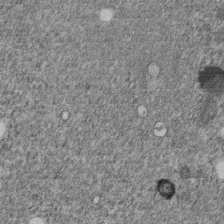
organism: C. elegans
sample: C. elegans embryo early stage